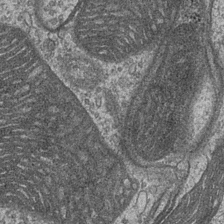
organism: Drosophila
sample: Optic medulla